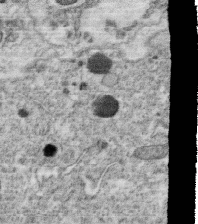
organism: C. elegans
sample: C. elegans oocyte; sperm cells